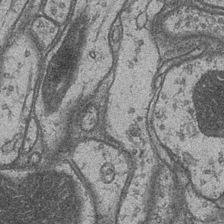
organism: Drosophila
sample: Optic medulla